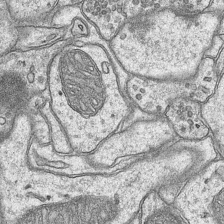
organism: Mouse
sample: CA1 Hippocampus